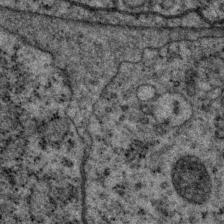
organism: P. pacificus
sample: Pharynx